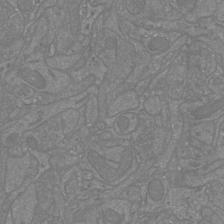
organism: Mouse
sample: Cortical neurons